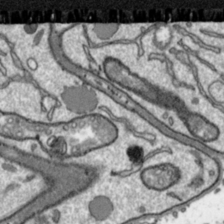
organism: Toxoplasma gondii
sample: Parasites in a vacuole inside a host cell